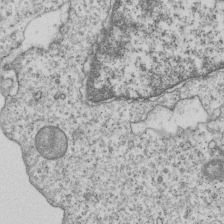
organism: Human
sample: MDA-MB-231 cells